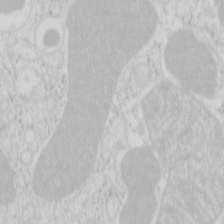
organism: Mouse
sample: Pancreas